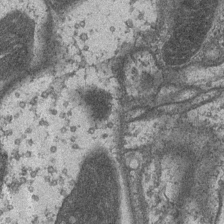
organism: Drosophila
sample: Optic medulla